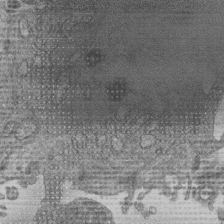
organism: Human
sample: Retinal organoid Rod and Cone cells